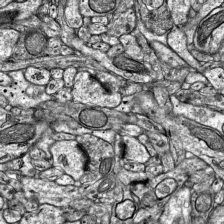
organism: Mouse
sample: Visual Cortex